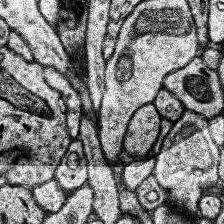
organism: Human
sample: Temporal Lobe